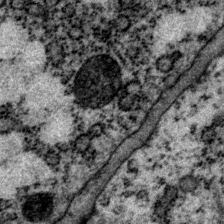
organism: P. pacificus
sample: Pharynx